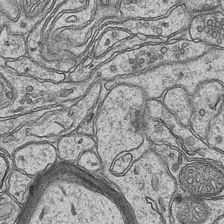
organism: Mouse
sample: CA1 Hippocampus